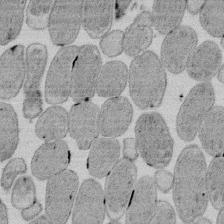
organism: E. coli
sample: Bacterial nucleoid